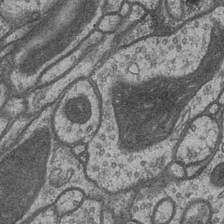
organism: Drosophila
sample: Optic medulla